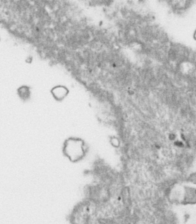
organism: Toxoplasma gondii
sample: Parasites in a vacuole inside a host cell